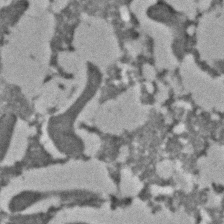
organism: C. elegans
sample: C. elegans embryo